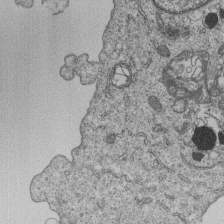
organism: Human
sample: MDA-MB-231 cells